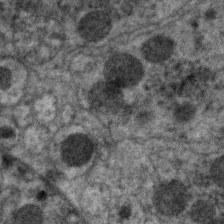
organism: C. elegans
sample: Pharynx